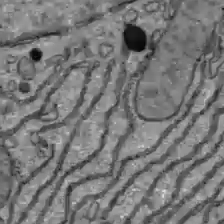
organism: C57BL Mouse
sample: Liver